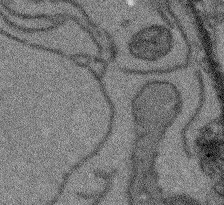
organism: Arabidopsis thaliana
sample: Root tip